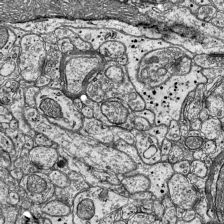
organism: Mouse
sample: Visual Cortex